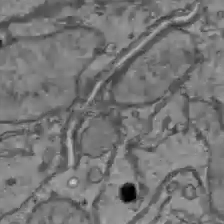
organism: C57BL Mouse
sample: Liver